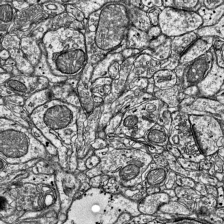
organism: Mouse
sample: Visual Cortex